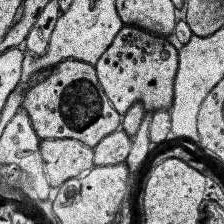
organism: Human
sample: Temporal Lobe